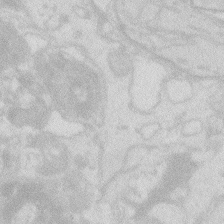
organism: Zebrafish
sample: Macrophage